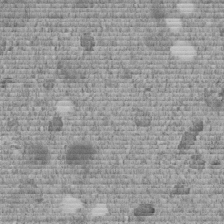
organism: C. elegans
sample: C. elegans embryo early stage